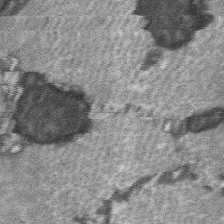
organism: C57BL Mouse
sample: Soleus